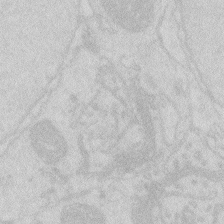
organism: Zebrafish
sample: Macrophage